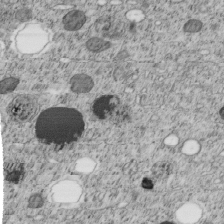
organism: C. elegans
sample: C. elegans embryo early stage